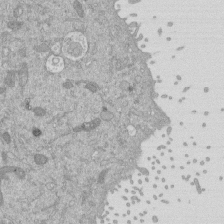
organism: Mouse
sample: ED-1 cell nuclei; centrioles